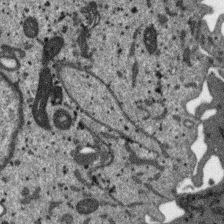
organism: Human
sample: Lung epithelial cells infected with SARS-CoV-2